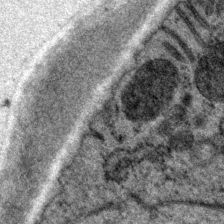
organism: P. pacificus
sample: Pharynx